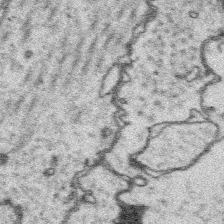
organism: Platynereis dumerilii